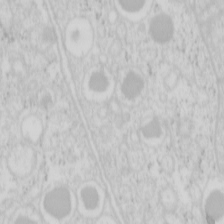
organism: Mouse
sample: Pancreas